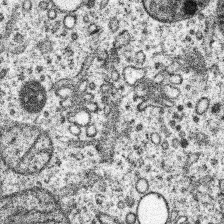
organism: Human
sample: HeLa cells